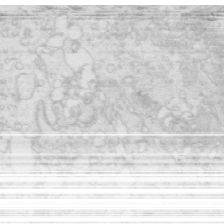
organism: Mouse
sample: Multiciliated cells